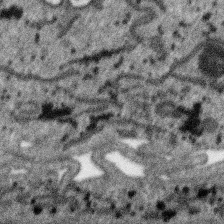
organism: Human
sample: Lung epithelial cells infected with SARS-CoV-2